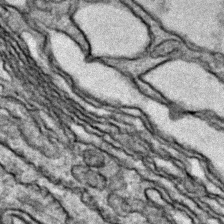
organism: Zebrafish